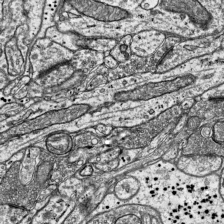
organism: Mouse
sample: Visual Cortex